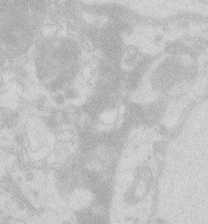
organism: Zebrafish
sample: Macrophage